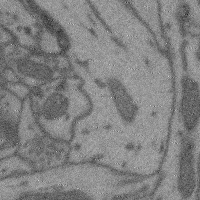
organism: Mouse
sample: Cerebral cortex